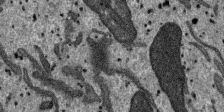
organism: Human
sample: Lung epithelial cells, uninfected (mock) control